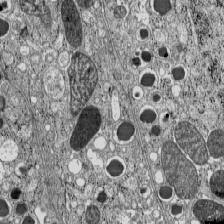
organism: C57BL Mouse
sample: Pancreatic islet